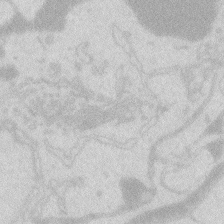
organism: Zebrafish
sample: Macrophage